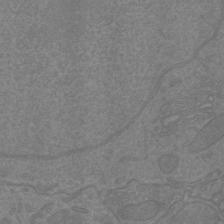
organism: Mouse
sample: Cortical neurons